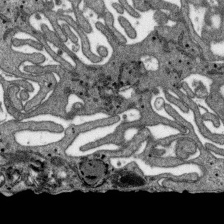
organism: Human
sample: Lung epithelial cells, uninfected (mock) control